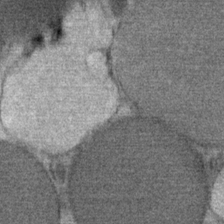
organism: Mouse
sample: Mouse Salivary gland